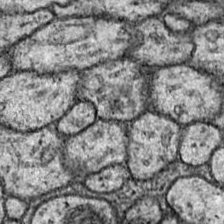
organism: Drosophila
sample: Ventral Nerve Cord